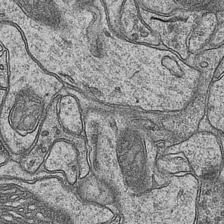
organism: Mouse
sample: CA1 Hippocampus